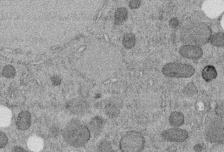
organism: C. elegans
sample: C. elegans embryo early stage